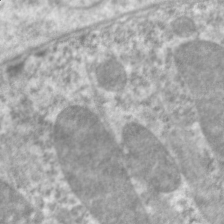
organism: C. elegans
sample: Pharynx